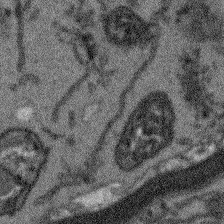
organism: Arabidopsis thaliana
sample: Root tip